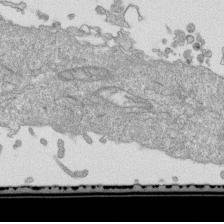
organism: Human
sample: HeLa cell HIV synapse